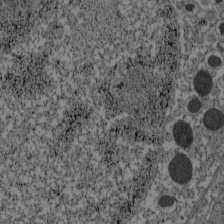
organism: C57BL Mouse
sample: Pancreatic islet